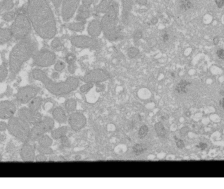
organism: Xenopus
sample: Cilia; centrioles in frog embryo cells